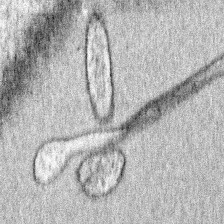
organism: Human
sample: HeLa cells